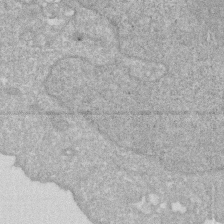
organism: Human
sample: HIV infected U937 cells